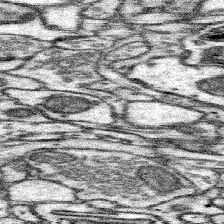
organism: Mouse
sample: Somatosensory cortex neuropil